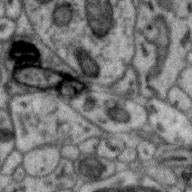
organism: Zebra finch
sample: Brain